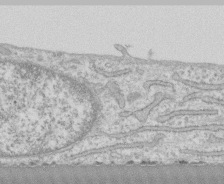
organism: Human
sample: CRL-1474